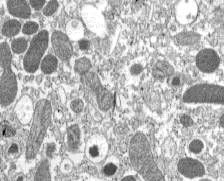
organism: C57BL Mouse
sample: Pancreatic islet